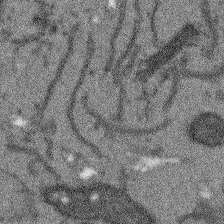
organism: Arabidopsis thaliana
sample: Root tip